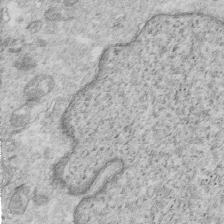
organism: Mouse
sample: Multiciliated cells